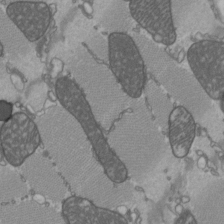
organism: C57BL Mouse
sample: Heart